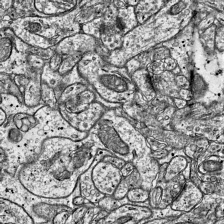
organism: Mouse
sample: Visual Cortex